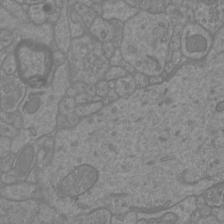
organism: Mouse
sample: Cortical neurons